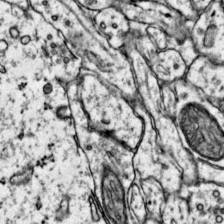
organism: Mouse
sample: Primary visual cortex